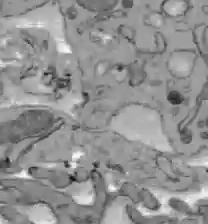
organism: C57BL Mouse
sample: Liver